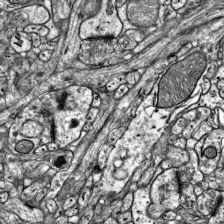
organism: Mouse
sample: Visual Cortex